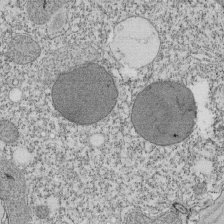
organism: Tetrahymena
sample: Cilia in tetrahymena